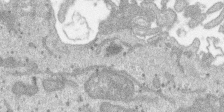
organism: Human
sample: Lung epithelial cells infected with SARS-CoV-2